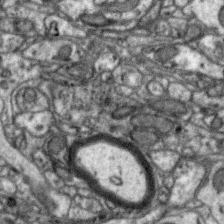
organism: Zebra finch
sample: Brain